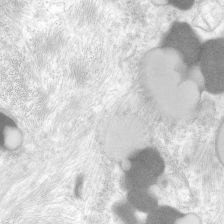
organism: Human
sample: Neocortex